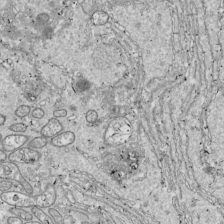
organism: Drosophila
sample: Cell division; meiosis; drosophila spermatocytes